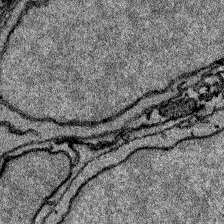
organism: Zebrafish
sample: Larval olfactory bulb